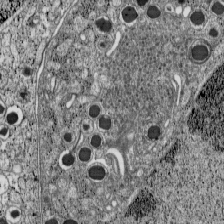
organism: C57BL Mouse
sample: Pancreatic islet